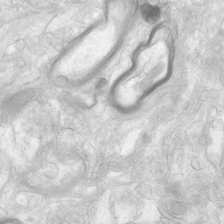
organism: Human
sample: Neocortex